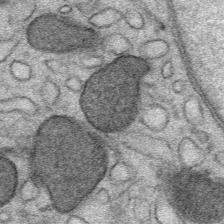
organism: Mouse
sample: Mouse Salivary gland